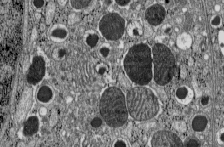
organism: C57BL Mouse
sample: Pancreatic islet